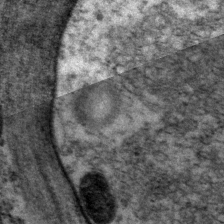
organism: P. pacificus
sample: Pharynx